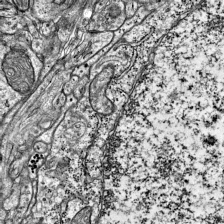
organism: Mouse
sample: Visual Cortex